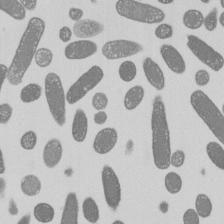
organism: E. coli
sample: Bacterial nucleoid